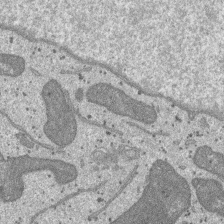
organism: Human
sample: Lung epithelial cells infected with SARS-CoV-2